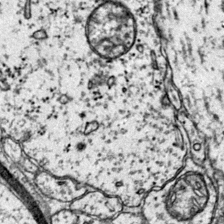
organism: Mouse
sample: Primary visual cortex